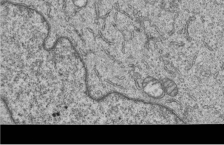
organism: Human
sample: MDA-MB-231 cells